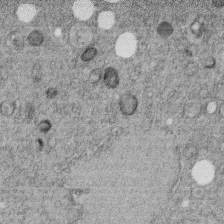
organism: C. elegans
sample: C. elegans embryo early stage